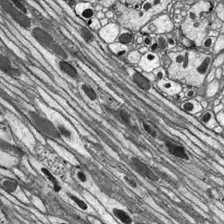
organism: Drosophila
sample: Optic lobe